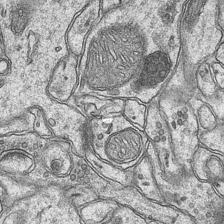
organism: Mouse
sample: CA1 Hippocampus